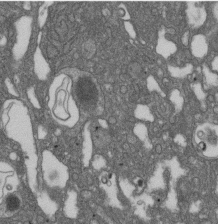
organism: Drosophila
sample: Nephrocyte